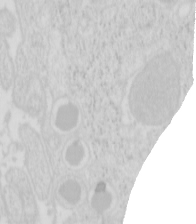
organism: Mouse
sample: Pancreas